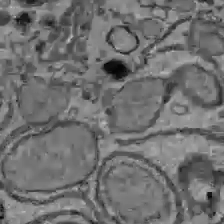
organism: C57BL Mouse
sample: Liver